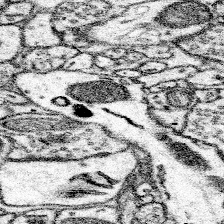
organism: Mouse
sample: Somatosensory cortex neuropil